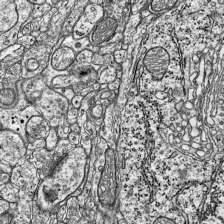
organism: Mouse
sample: Visual Cortex